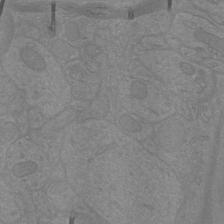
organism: Mouse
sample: Cortical neurons